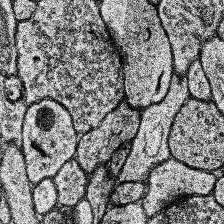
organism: Human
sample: Temporal Lobe